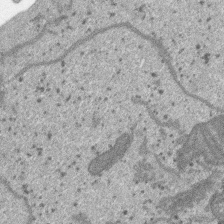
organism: Human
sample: Lung epithelial cells infected with SARS-CoV-2